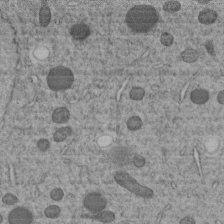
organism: C. elegans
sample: C. elegans embryo early stage